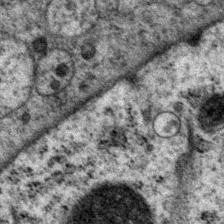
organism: P. pacificus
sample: Pharynx